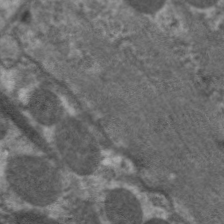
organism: C. elegans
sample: Pharynx